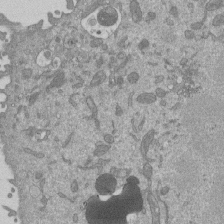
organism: Mouse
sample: ED-1 cell nuclei; centrioles